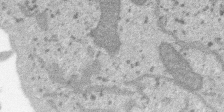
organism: Human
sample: Lung epithelial cells infected with SARS-CoV-2